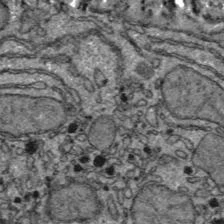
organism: C57BL Mouse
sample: Liver